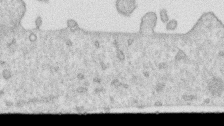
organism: Human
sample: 1205lu cells